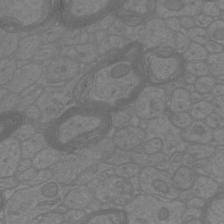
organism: Mouse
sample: Cortical neurons